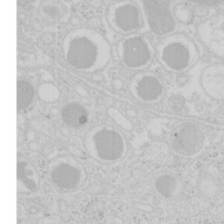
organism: Mouse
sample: Pancreas